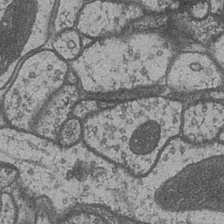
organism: Drosophila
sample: Optic medulla